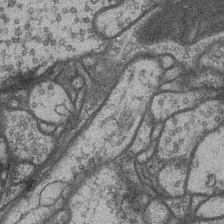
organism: Drosophila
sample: Optic medulla